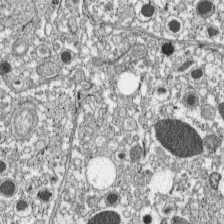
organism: C57BL Mouse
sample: Pancreatic islet